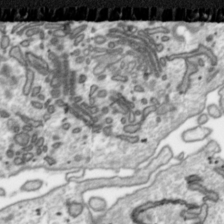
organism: Toxoplasma gondii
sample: Parasites in a vacuole inside a host cell